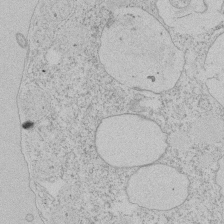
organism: Tetrahymena